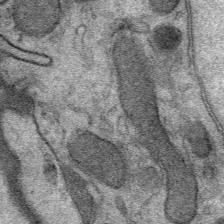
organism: Mouse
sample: Mouse Salivary gland